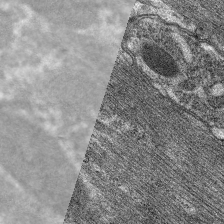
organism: C. elegans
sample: Pharynx